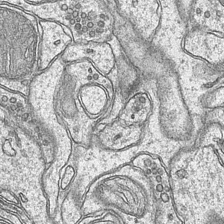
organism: Mouse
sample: CA1 Hippocampus